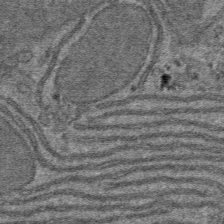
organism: Mouse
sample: Mouse hepatocytes